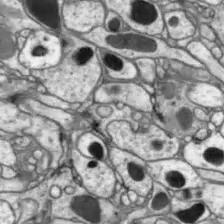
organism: Drosophila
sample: Optic lobe